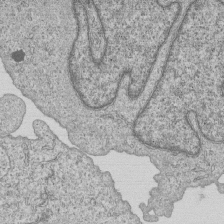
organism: Human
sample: MDA-MB-231 cells